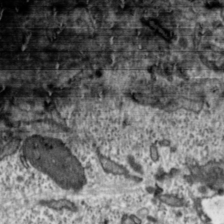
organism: Toxoplasma gondii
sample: Parasites in a vacuole inside a host cell